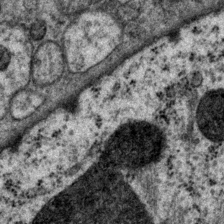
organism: P. pacificus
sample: Pharynx